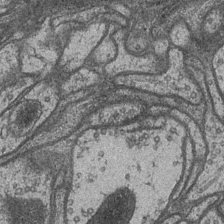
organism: Drosophila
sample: Optic medulla